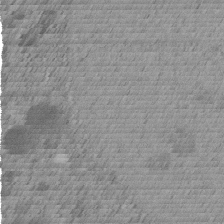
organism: C. elegans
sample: C. elegans embryo early stage